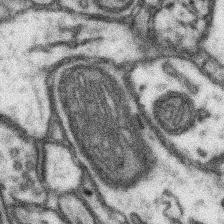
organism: Mouse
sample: Somatosensory cortex neuropil